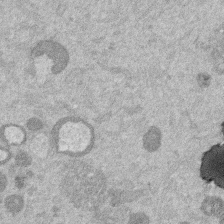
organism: Mouse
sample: Dividing mouse embryo 1 cell stage